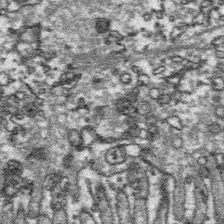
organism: Platynereis dumerilii